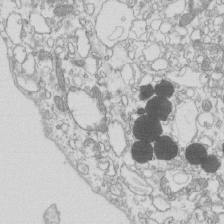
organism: Mouse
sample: Macrophages